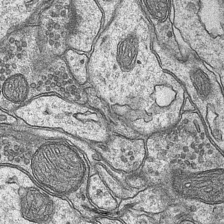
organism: Mouse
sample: CA1 Hippocampus